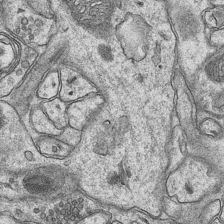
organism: Mouse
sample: CA1 Hippocampus